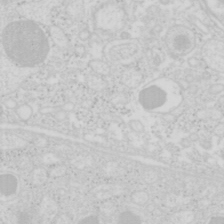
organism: Mouse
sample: Pancreas